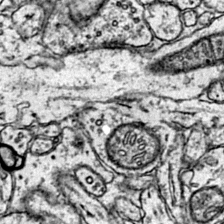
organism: Mouse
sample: Primary visual cortex